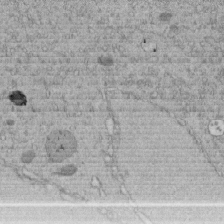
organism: C. elegans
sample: C. elegans embryo early stage